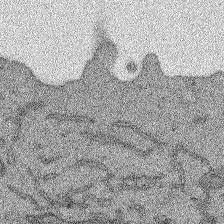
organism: Human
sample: HeLa cells